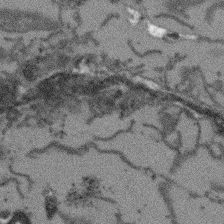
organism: Arabidopsis thaliana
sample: Root tip